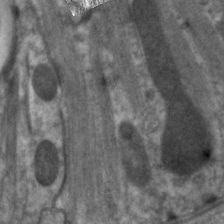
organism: C. elegans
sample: Pharynx